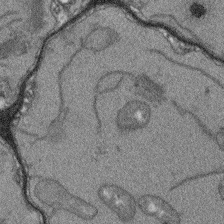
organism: Arabidopsis thaliana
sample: Root tip